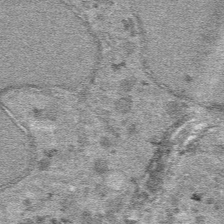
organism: Mouse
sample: Mouse hepatocytes